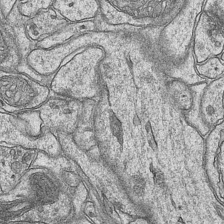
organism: Mouse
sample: CA1 Hippocampus